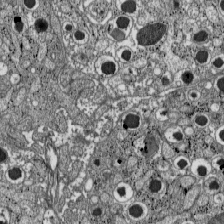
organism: C57BL Mouse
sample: Pancreatic islet